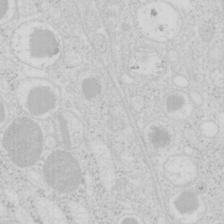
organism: Mouse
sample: Pancreas